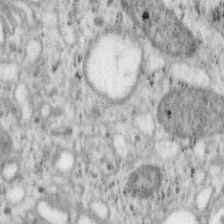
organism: Mouse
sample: OT-I killer T cells with ID8 ovarian cancer cells